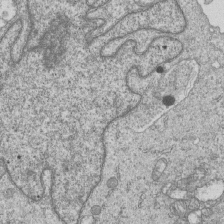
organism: Human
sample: MDA-MB-231 cells